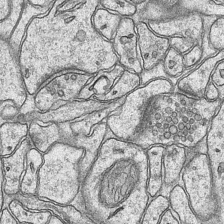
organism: Mouse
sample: CA1 Hippocampus